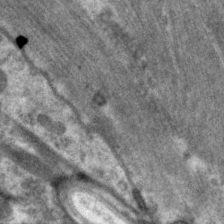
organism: C. elegans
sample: Pharynx